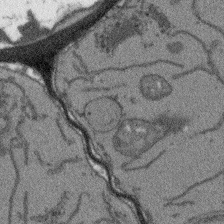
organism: Arabidopsis thaliana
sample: Root tip